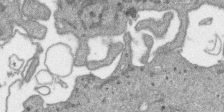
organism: Human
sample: Lung epithelial cells infected with SARS-CoV-2